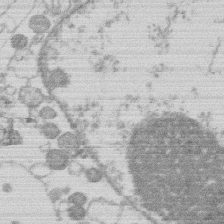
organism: Human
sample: Macrophage cells